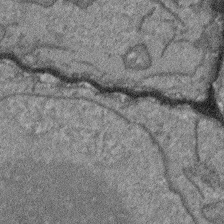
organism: Arabidopsis thaliana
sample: Root tip